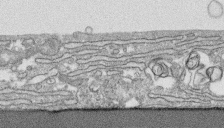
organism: Human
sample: CRL-1474